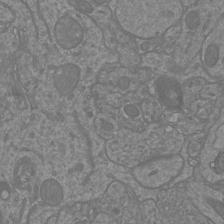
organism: Mouse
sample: Cortical neurons